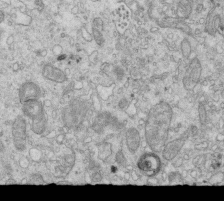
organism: Mouse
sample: Multiciliated cells